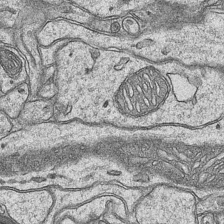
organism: Mouse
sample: CA1 Hippocampus